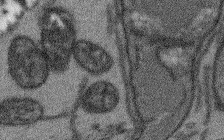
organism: Arabidopsis thaliana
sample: Root tip